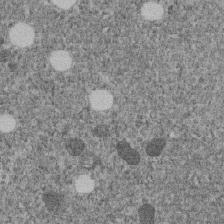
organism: C. elegans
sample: C. elegans embryo early stage